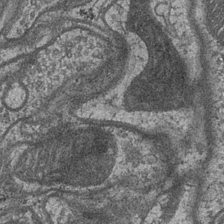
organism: Drosophila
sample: Optic medulla